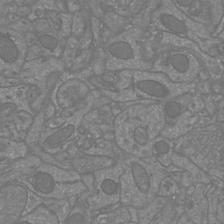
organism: Mouse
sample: Cortical neurons